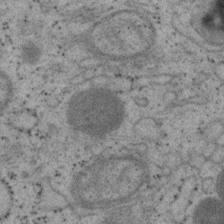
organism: Human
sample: HeLa cells